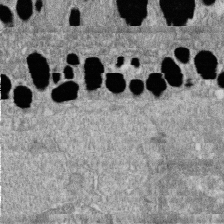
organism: Zebrafish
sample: Cilia; retinal pigment epithelium